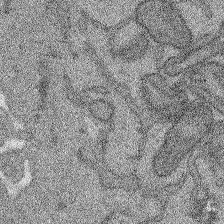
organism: Human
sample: HeLa cells